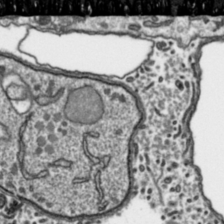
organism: Toxoplasma gondii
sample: Parasites in a vacuole inside a host cell